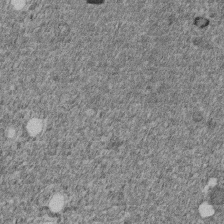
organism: C. elegans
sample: C. elegans embryo early stage